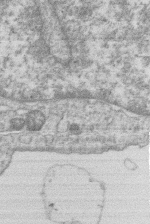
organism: Human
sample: Macrophage cells